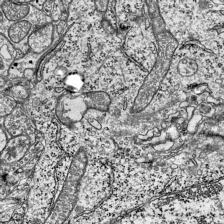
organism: Mouse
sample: Visual Cortex